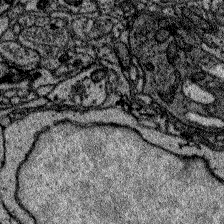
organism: Zebrafish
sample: Larval olfactory bulb